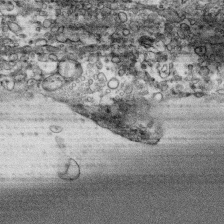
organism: Human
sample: CRL-1474